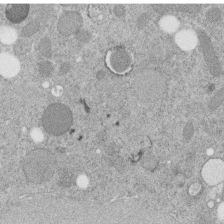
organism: C. elegans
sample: C. elegans embryo early stage